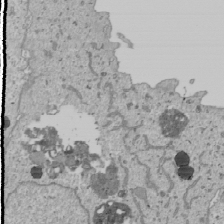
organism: Human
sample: Mitochondria in U2OS cells